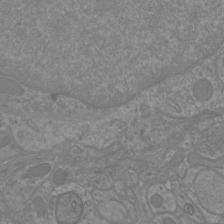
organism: Mouse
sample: Cortical neurons